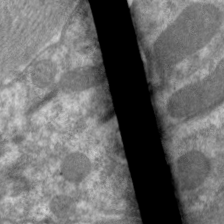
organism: C. elegans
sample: Pharynx